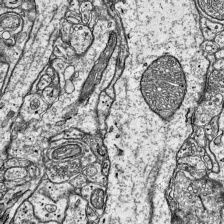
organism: Mouse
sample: Visual Cortex